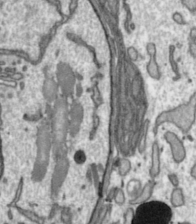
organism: Toxoplasma gondii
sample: Parasites in a vacuole inside a host cell